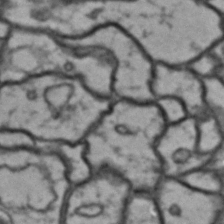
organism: Drosophila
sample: Brain